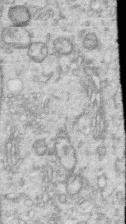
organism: Human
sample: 1205lu cells